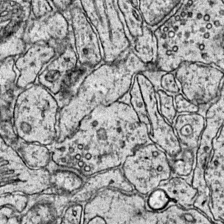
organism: Mouse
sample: Primary visual cortex